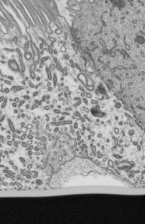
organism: Mouse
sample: Mouse epididymis efferent ductule cilia